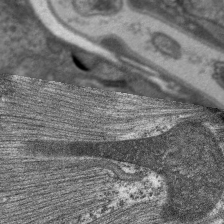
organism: C. elegans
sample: Pharynx